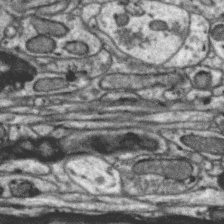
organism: Zebra finch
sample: Brain